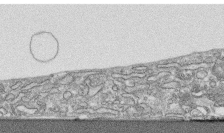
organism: Human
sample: CRL-1474